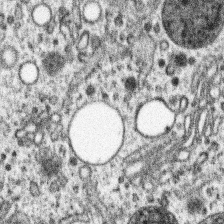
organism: Human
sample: HeLa cells